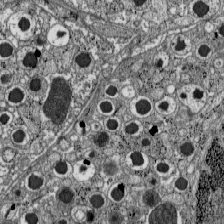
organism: C57BL Mouse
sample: Pancreatic islet